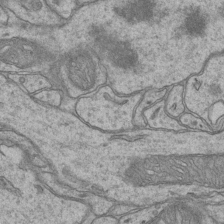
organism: Mouse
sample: CA1 Hippocampus